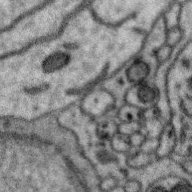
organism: Zebra finch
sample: Brain